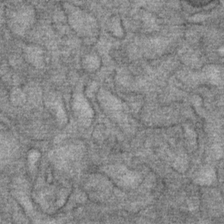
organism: Mouse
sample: Mouse Salivary gland